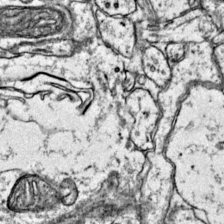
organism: Mouse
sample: Primary visual cortex